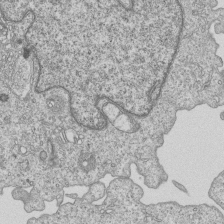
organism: Human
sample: MDA-MB-231 cells